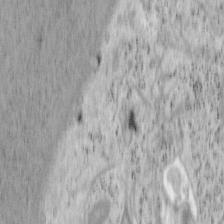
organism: Human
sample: HeLa cells